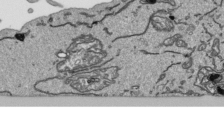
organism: Human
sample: Mitochondria in HCT116 cells